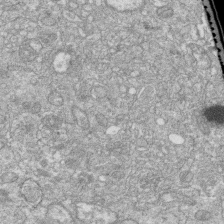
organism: Human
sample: HeLa cell HIV synapse